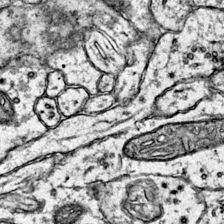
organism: Mouse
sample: Primary visual cortex